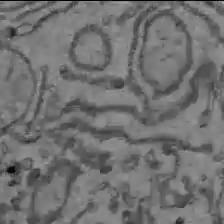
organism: C57BL Mouse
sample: Liver